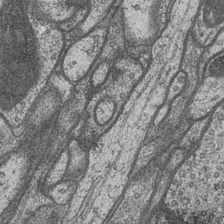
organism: Drosophila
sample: Optic medulla